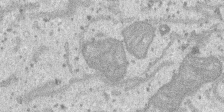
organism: Human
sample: Lung epithelial cells infected with SARS-CoV-2